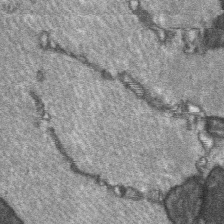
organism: C57BL Mouse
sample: Soleus